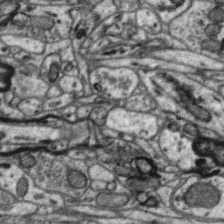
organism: Zebra finch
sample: Brain